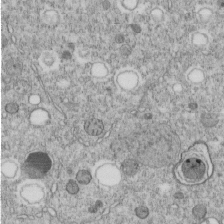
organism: C. elegans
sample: C. elegans embryo early stage